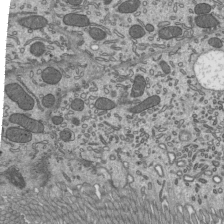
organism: Mouse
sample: Mouse epididymis efferent ductule cilia